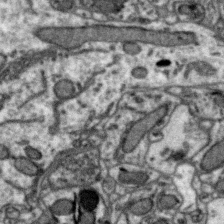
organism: Zebra finch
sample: Brain